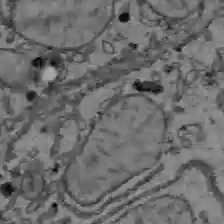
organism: C57BL Mouse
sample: Liver